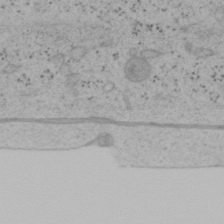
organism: Human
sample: HeLa cells